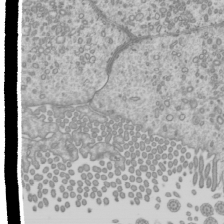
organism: Mouse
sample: Cilia; mouse epididymis